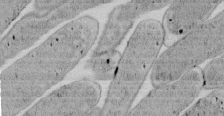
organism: E. coli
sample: Bacterial nucleoid